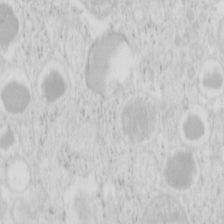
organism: Mouse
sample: Pancreas